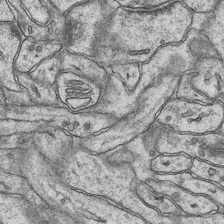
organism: Mouse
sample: CA1 Hippocampus